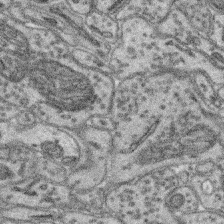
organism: Mouse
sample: Retina